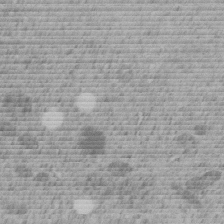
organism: C. elegans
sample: C. elegans embryo early stage